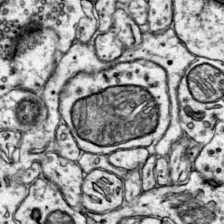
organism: Mouse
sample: Primary visual cortex